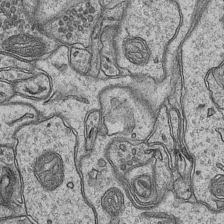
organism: Mouse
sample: CA1 Hippocampus